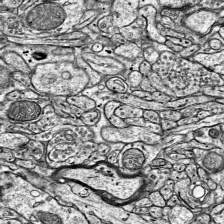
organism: Mouse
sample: Visual Cortex